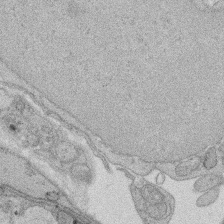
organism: Rat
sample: Salivary granule